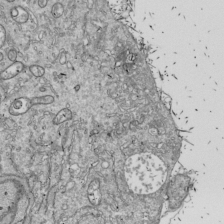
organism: Drosophila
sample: Cell division; meiosis; drosophila spermatocytes